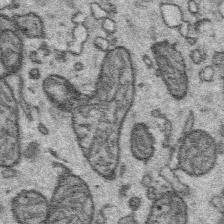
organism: Platynereis dumerilii